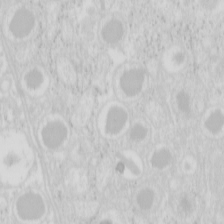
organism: Mouse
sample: Pancreas